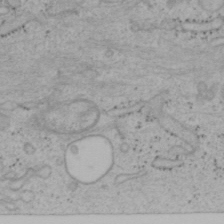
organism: Human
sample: HeLa cells